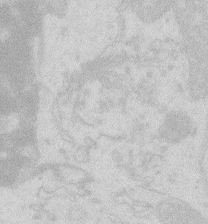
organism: Zebrafish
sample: Macrophage